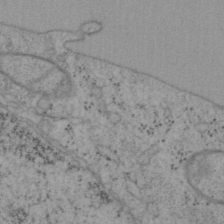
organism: Human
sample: HeLa cells